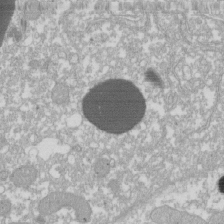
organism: Xenopus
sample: Cilia; centrioles in frog embryo cells